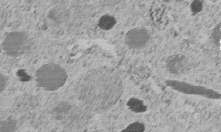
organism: C. elegans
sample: C. elegans embryo early stage